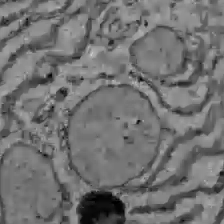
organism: C57BL Mouse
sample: Liver